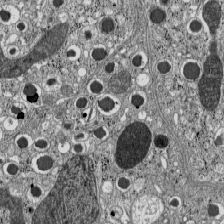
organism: C57BL Mouse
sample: Pancreatic islet